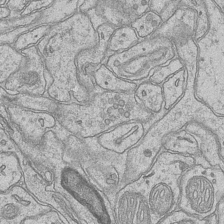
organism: Mouse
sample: CA1 Hippocampus